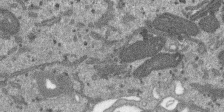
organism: Human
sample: Lung epithelial cells infected with SARS-CoV-2